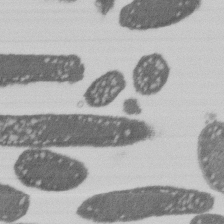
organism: E. coli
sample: Bacterial nucleoid